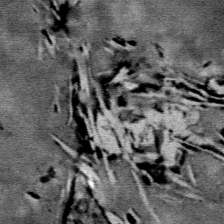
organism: Mouse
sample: Mouse Salivary gland